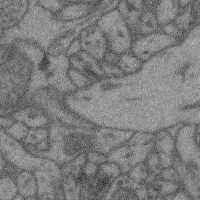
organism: Mouse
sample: Cerebral cortex